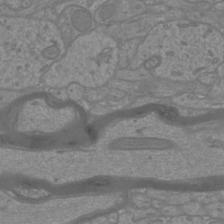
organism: Mouse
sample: Cortical neurons